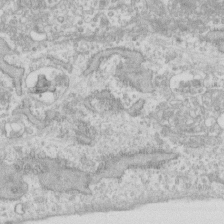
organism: Human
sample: Fibroblast cells